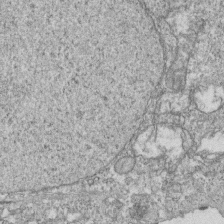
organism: Human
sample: HeLa cell HIV synapse